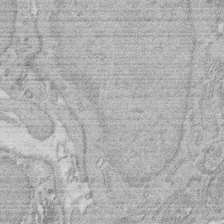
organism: Rat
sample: Salivary granule